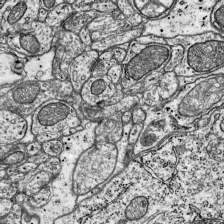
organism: Mouse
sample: Visual Cortex